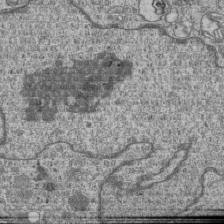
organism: Human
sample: MDA-MB-231 cells